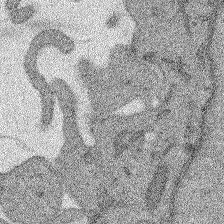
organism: Human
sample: HeLa cells